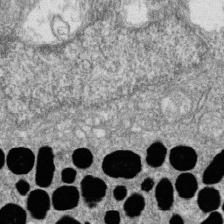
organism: Zebrafish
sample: Cilia; retinal pigment epithelium